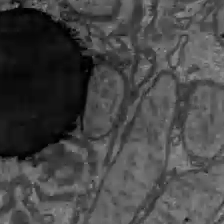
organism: C57BL Mouse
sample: Liver